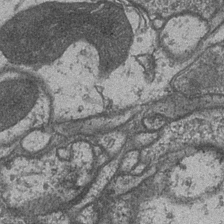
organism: Drosophila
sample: Optic medulla